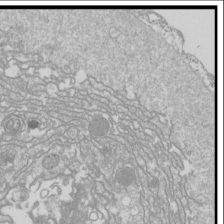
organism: Drosophila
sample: Cell division; meiosis; drosophila spermatocytes